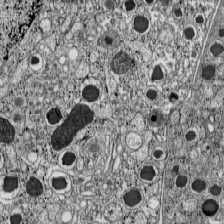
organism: C57BL Mouse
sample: Pancreatic islet